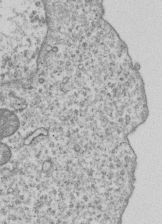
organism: Human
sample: MDA-MB-231 cells